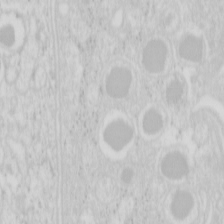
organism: Mouse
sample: Pancreas